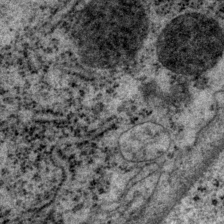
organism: P. pacificus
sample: Pharynx